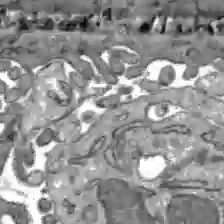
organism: C57BL Mouse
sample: Liver